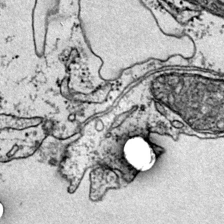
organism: Mouse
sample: Primary visual cortex